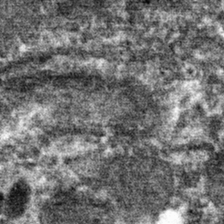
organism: Mouse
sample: Mouse hepatocytes